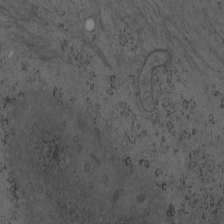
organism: Mouse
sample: OT-I killer T cells with ID8 ovarian cancer cells